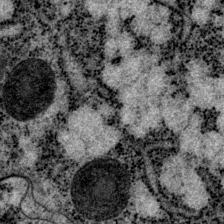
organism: P. pacificus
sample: Pharynx